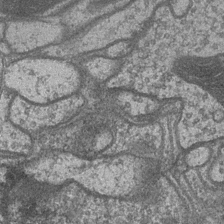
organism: Drosophila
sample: Optic medulla